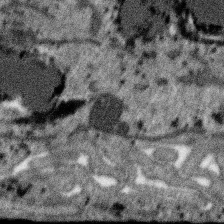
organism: Human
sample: Lung epithelial cells infected with SARS-CoV-2